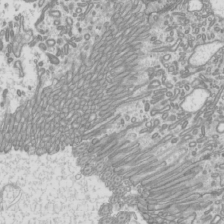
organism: Mouse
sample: Cilia; mouse epididymis